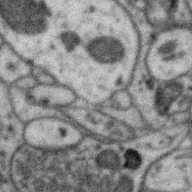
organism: Zebra finch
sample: Brain